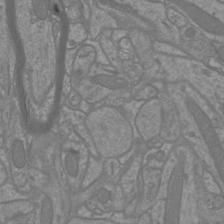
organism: Mouse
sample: Cortical neurons